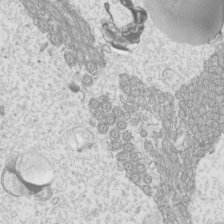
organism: Mouse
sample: Cilia; mouse epididymis